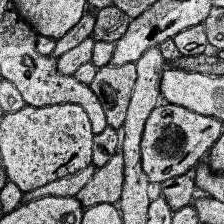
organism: Human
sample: Temporal Lobe